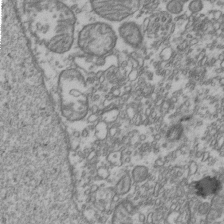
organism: Human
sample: Activated Jurkat CD4+ T cells